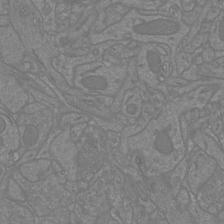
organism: Mouse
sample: Cortical neurons